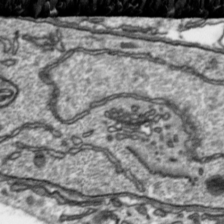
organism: Toxoplasma gondii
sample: Parasites in a vacuole inside a host cell